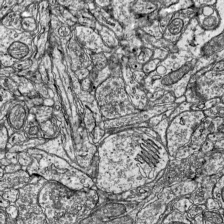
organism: Mouse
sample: Visual Cortex